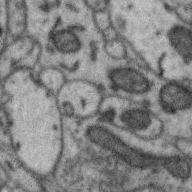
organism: Zebra finch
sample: Brain